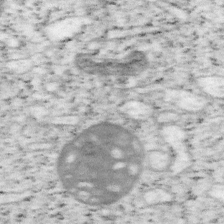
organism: Mouse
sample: OT-I killer T cells with ID8 ovarian cancer cells